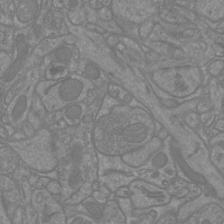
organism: Mouse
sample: Cortical neurons